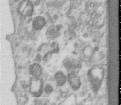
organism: Human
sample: Centriole in RPE cells